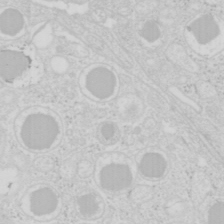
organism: Mouse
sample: Pancreas